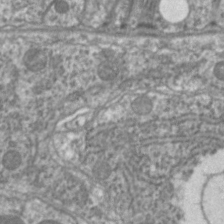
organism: C. elegans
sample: Pharynx